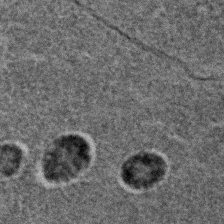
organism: C. elegans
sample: C. elegans embryo